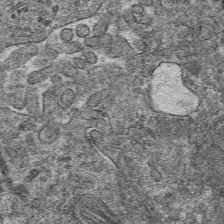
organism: Mouse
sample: Mouse hepatocytes